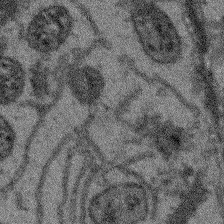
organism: Arabidopsis thaliana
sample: Root tip